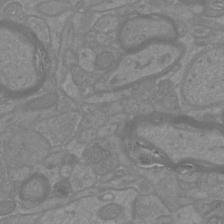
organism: Mouse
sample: Cortical neurons